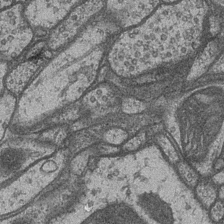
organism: Drosophila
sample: Optic medulla